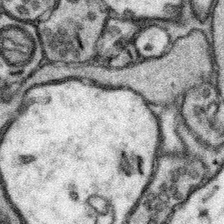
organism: Mouse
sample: Somatosensory cortex neuropil